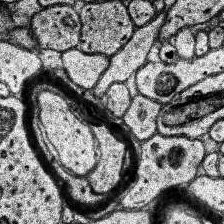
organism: Human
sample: Temporal Lobe